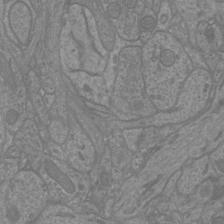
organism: Mouse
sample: Cortical neurons